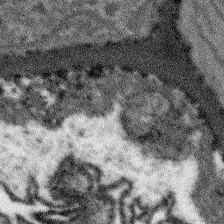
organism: Arabidopsis thaliana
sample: Root tip